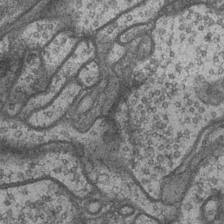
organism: Drosophila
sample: Optic medulla